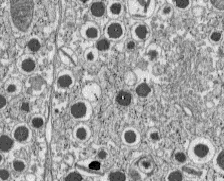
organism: C57BL Mouse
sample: Pancreatic islet